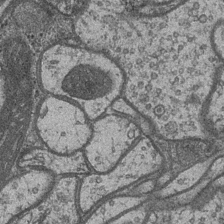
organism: Drosophila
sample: Optic medulla